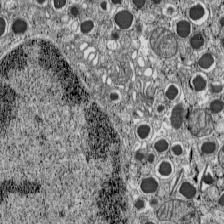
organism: C57BL Mouse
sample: Pancreatic islet